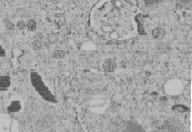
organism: C. elegans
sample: C. elegans embryo early stage